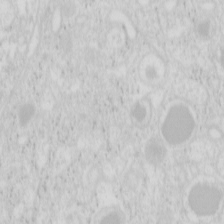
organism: Mouse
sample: Pancreas